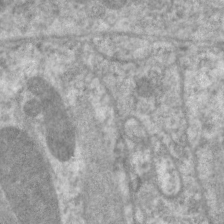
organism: C. elegans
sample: Pharynx